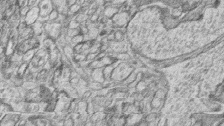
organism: Zebrafish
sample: synaptic ribbons in rod cells and cone cells